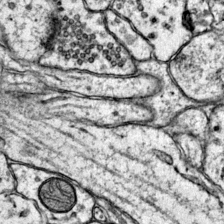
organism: Mouse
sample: Primary visual cortex